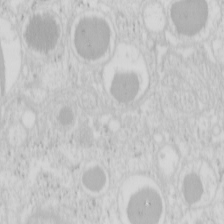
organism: Mouse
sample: Pancreas